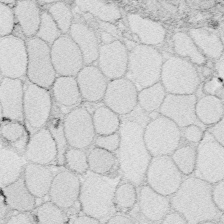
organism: Zebrafish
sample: Whole-Brain